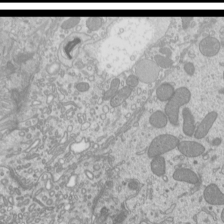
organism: Mouse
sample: Cilia; mouse epididymis